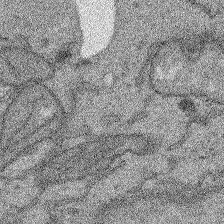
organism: Human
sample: HeLa cells